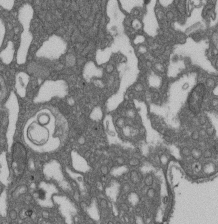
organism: Drosophila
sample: Nephrocyte